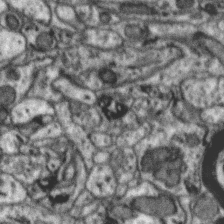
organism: Zebra finch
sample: Brain